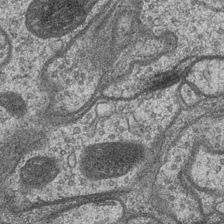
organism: Drosophila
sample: Optic medulla